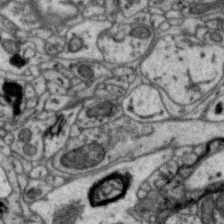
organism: Zebra finch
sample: Brain